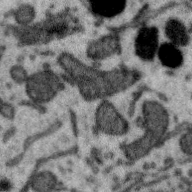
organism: Zebra finch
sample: Brain